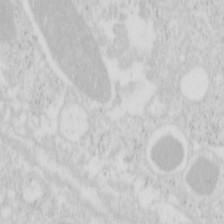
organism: Mouse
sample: Pancreas